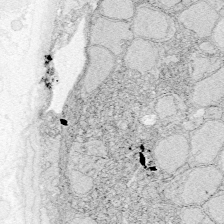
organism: Zebrafish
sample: Whole-Brain